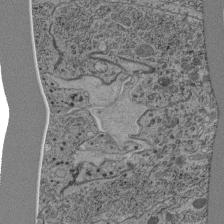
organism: C. elegans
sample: C. elegans pharynx